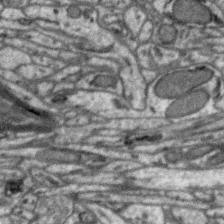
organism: Zebra finch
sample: Brain